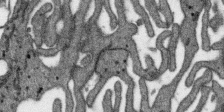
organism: Human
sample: Lung epithelial cells, uninfected (mock) control